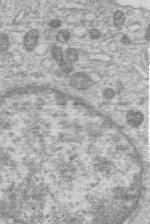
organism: Human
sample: Macrophage cells